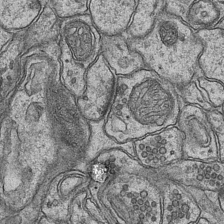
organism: Mouse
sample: CA1 Hippocampus